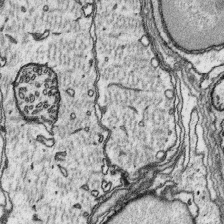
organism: Platynereis dumerilii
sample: Parapodia